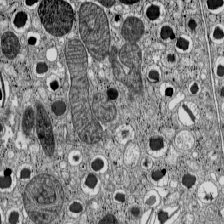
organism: C57BL Mouse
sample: Pancreatic islet